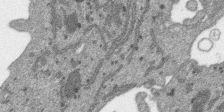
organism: Human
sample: Lung epithelial cells infected with SARS-CoV-2